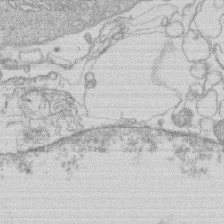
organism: Human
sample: Macrophage cells